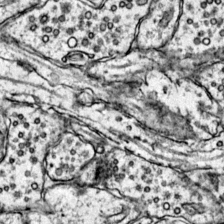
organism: Mouse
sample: Primary visual cortex